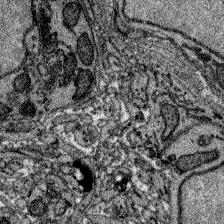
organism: Zebrafish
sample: Larval olfactory bulb